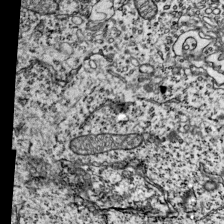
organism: Mouse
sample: Visual Cortex